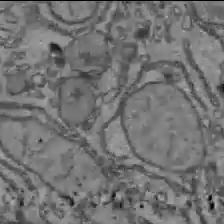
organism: C57BL Mouse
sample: Liver